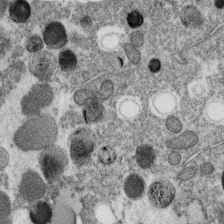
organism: C. elegans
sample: C. elegans oocyte; sperm cells